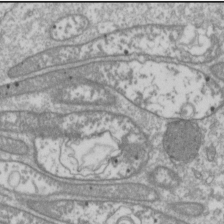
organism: Drosophila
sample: Cell division; meiosis; drosophila spermatocytes